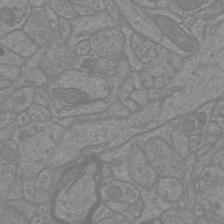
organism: Mouse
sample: Cortical neurons